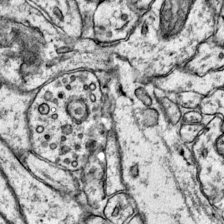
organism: Mouse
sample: Primary visual cortex